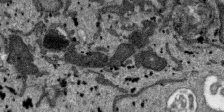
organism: Human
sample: Lung epithelial cells, uninfected (mock) control